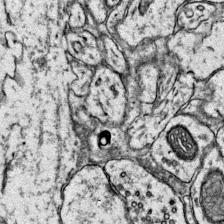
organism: Mouse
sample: Primary visual cortex